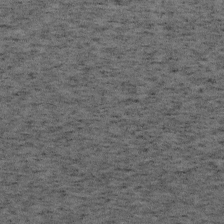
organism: Mouse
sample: OT-I killer T cells with ID8 ovarian cancer cells